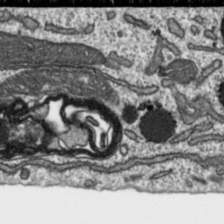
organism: Toxoplasma gondii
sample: Parasites in a vacuole inside a host cell